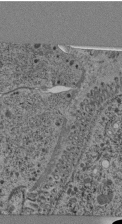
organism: C. elegans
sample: C. elegans pharynx